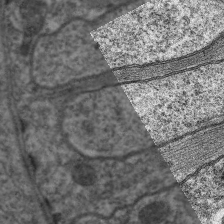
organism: C. elegans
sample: Pharynx